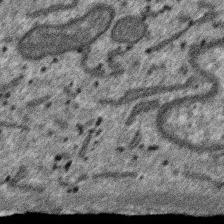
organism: Human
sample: Lung epithelial cells infected with SARS-CoV-2